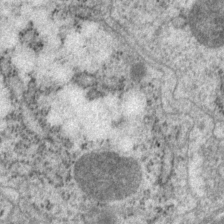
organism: P. pacificus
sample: Pharynx